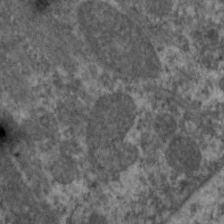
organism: C. elegans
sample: Pharynx